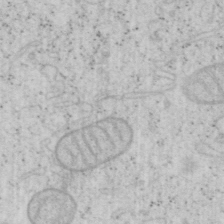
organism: Human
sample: HeLa cells